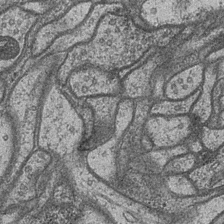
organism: Drosophila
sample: Optic medulla